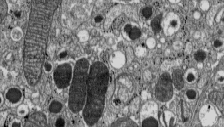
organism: C57BL Mouse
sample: Pancreatic islet